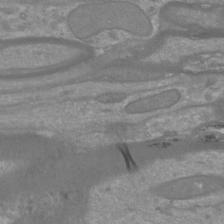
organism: Mouse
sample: Cortical neurons